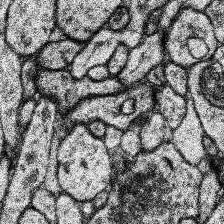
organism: Human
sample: Temporal Lobe